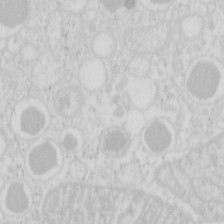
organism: Mouse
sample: Pancreas